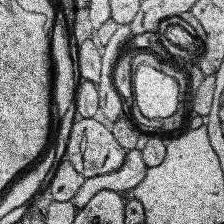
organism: Human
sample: Temporal Lobe